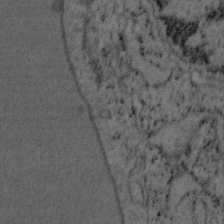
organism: Human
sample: HeLa cells